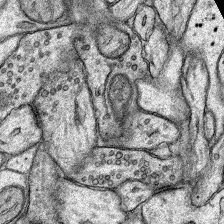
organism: Rat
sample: Hippocampus